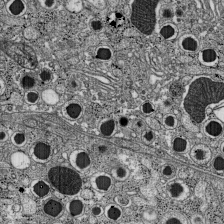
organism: C57BL Mouse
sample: Pancreatic islet